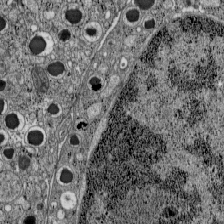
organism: C57BL Mouse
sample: Pancreatic islet